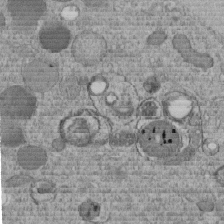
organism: C. elegans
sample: C. elegans embryo early stage